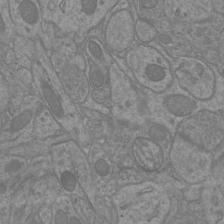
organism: Mouse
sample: Cortical neurons